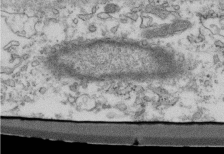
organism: Mouse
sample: Cilia; retinal pigment epithelium